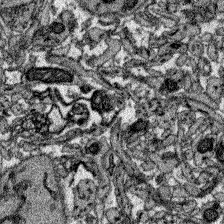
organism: Zebrafish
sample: Larval olfactory bulb